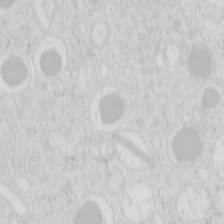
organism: Mouse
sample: Pancreas